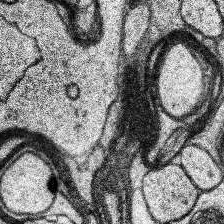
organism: Human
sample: Temporal Lobe